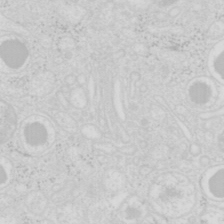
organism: Mouse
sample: Pancreas